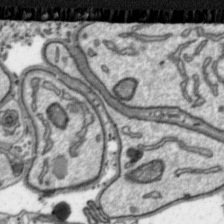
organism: Toxoplasma gondii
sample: Parasites in a vacuole inside a host cell